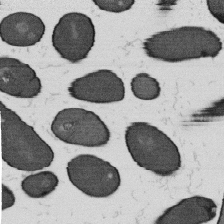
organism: B. subtilis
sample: Bacterial spore